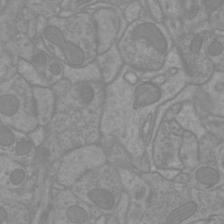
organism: Mouse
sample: Cortical neurons